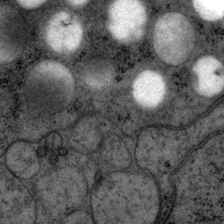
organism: P. pacificus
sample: Pharynx